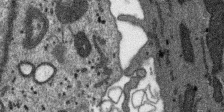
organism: Human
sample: Lung epithelial cells infected with SARS-CoV-2